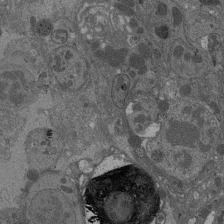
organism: Drosophila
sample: Antenna